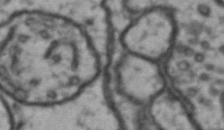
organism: Drosophila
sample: Brain